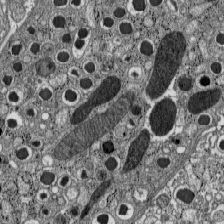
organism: C57BL Mouse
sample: Pancreatic islet